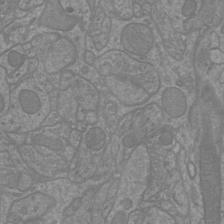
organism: Mouse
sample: Cortical neurons